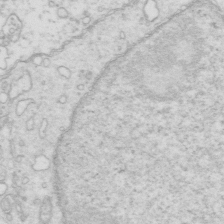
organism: Mouse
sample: Multiciliated cells